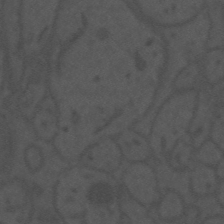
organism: Mouse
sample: Suprachiasmatic nucleus